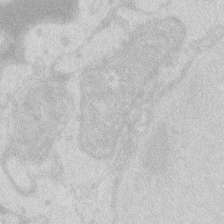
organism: Zebrafish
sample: Macrophage